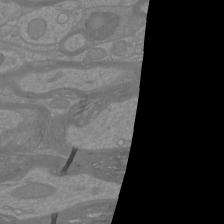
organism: Mouse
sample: Cortical neurons